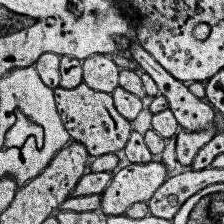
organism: Human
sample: Temporal Lobe